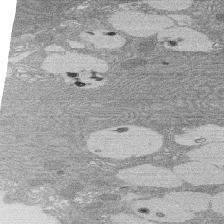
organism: Rat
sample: Salivary granule